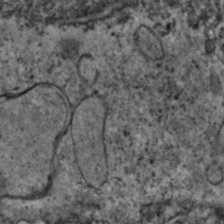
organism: Zebrafish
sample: Zebrafish embryo